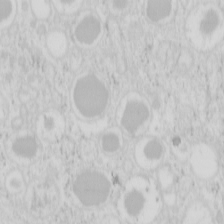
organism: Mouse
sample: Pancreas